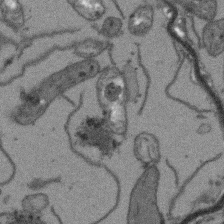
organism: Arabidopsis thaliana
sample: Root tip